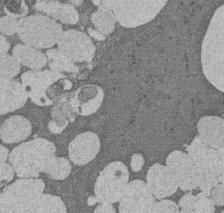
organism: Rat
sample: Salivary granule